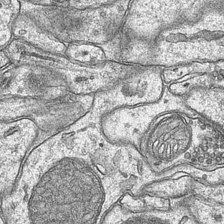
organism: Mouse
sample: CA1 Hippocampus